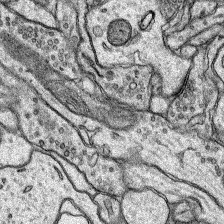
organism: Rat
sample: Hippocampus